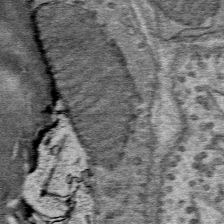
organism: Mouse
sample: Mouse Salivary gland